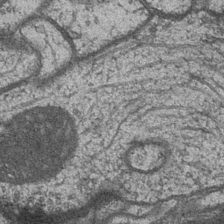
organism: Drosophila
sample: Optic medulla